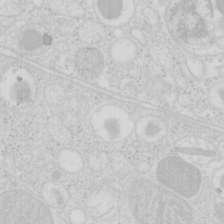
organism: Mouse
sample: Pancreas